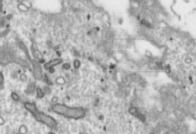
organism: Toxoplasma gondii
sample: Parasites in a vacuole inside a host cell